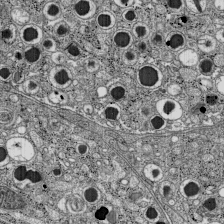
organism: C57BL Mouse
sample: Pancreatic islet